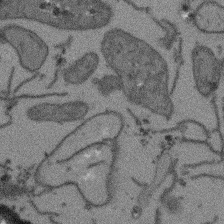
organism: Arabidopsis thaliana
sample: Root tip